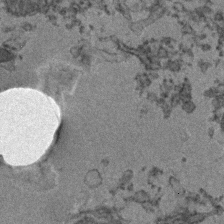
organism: Zebrafish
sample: Zebrafish embryo